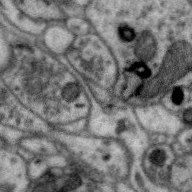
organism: Zebra finch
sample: Brain